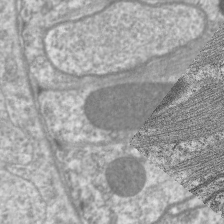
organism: C. elegans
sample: Pharynx